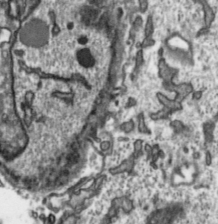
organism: Toxoplasma gondii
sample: Parasites in a vacuole inside a host cell